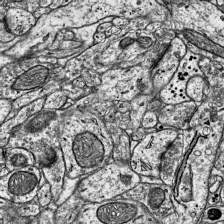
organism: Mouse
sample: Visual Cortex